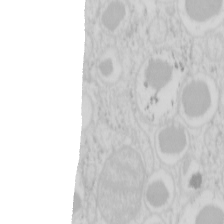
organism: Mouse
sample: Pancreas